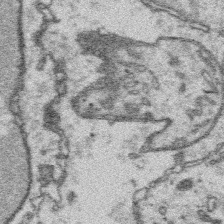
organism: Platynereis dumerilii